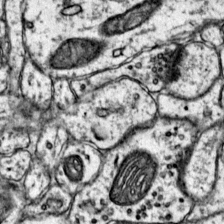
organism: Mouse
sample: Primary visual cortex